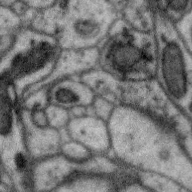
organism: Zebra finch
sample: Brain